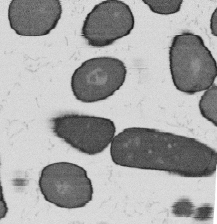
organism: B. subtilis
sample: Bacterial spore